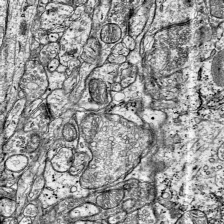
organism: Mouse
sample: Visual Cortex